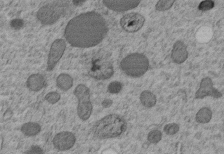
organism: C. elegans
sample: C. elegans embryo early stage